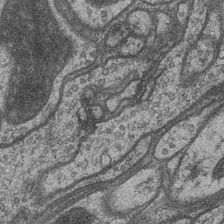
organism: Drosophila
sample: Optic medulla